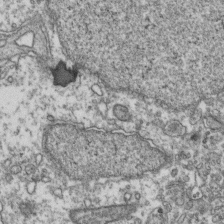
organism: Human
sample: Activated Jurkat CD4+ T cells